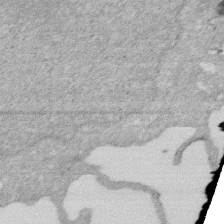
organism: Human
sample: HIV infected U937 cells